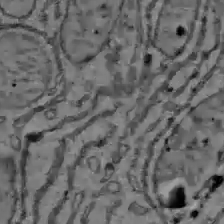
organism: C57BL Mouse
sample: Liver